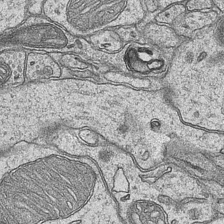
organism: Mouse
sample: CA1 Hippocampus